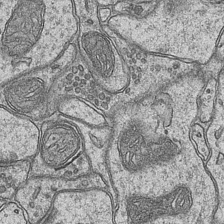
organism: Mouse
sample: CA1 Hippocampus